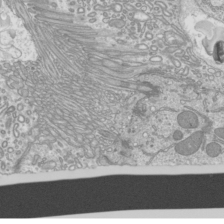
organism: Mouse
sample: Cilia; mouse epididymis